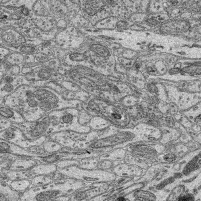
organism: Mouse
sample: Retina